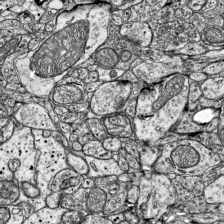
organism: Mouse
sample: Visual Cortex